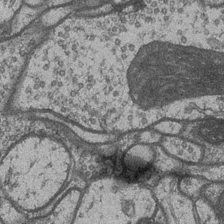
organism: Drosophila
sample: Optic medulla